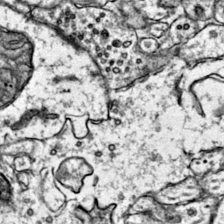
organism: Mouse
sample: Primary visual cortex